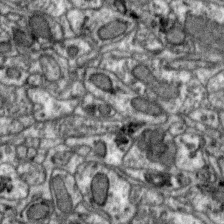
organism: Zebra finch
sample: Brain